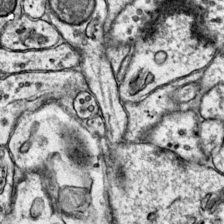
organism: Mouse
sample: Primary visual cortex